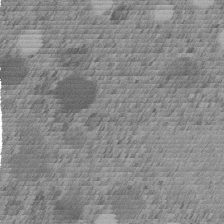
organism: C. elegans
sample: C. elegans embryo early stage